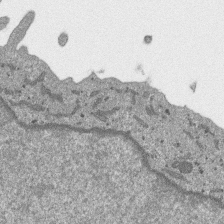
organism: Human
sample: Lung epithelial cells infected with SARS-CoV-2